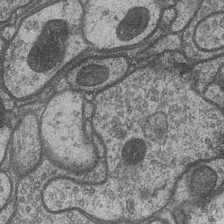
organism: Drosophila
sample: Optic medulla